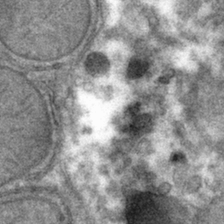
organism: Mouse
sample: Mouse hepatocytes